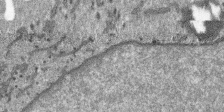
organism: Human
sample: Lung epithelial cells infected with SARS-CoV-2